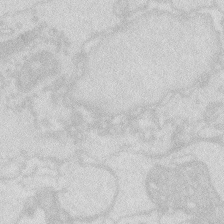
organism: Zebrafish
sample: Macrophage